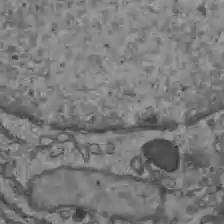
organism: C57BL Mouse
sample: Liver